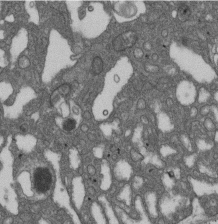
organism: Drosophila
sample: Nephrocyte